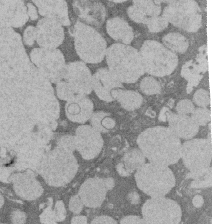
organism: Rat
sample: Salivary granule